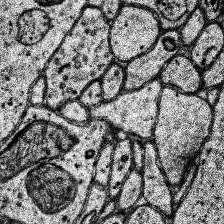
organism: Human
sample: Temporal Lobe